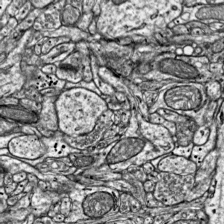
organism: Mouse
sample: Visual Cortex